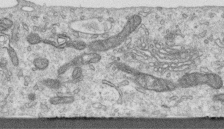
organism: Human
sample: Centriole in RPE cells